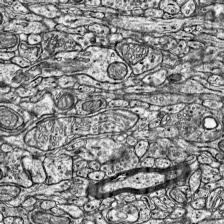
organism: Mouse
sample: Visual Cortex